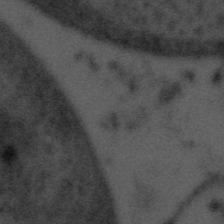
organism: Tuwongella immobilis